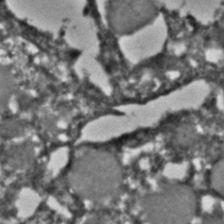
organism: C. elegans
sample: C. elegans embryo